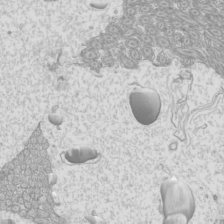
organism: Mouse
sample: Cilia; mouse epididymis